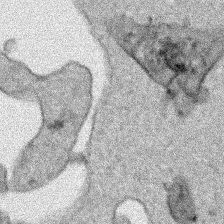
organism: Human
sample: Mitochondria in HCT116 cells